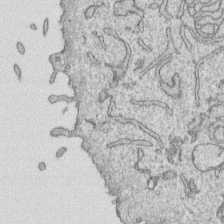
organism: Human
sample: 1205lu cells